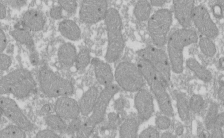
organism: Xenopus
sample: Cilia; centrioles in frog embryo cells